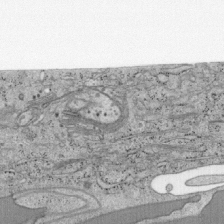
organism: Human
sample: HeLa cells